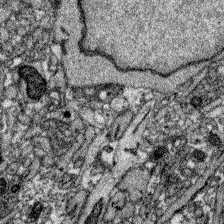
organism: Zebrafish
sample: Larval olfactory bulb